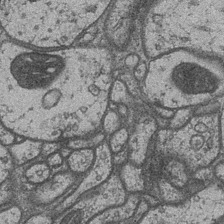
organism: Drosophila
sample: Optic medulla